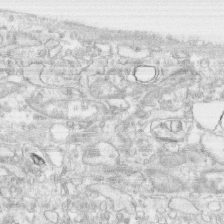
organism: Human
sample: CRL-1474